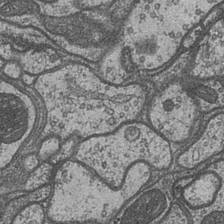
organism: Drosophila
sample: Optic medulla